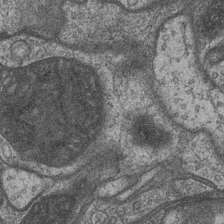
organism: Drosophila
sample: Optic medulla